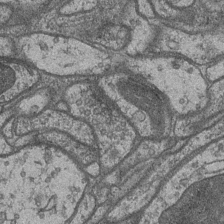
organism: Drosophila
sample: Optic medulla